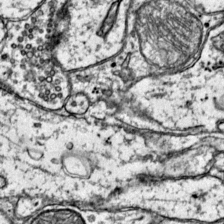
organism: Mouse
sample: Primary visual cortex